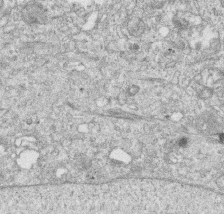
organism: Human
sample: HeLa cell HIV synapse